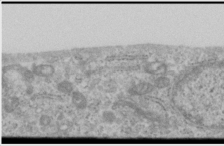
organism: Human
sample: Cilia; basal body in RPE cells